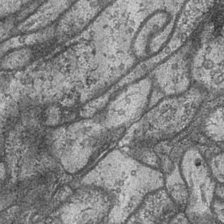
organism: Drosophila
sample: Optic medulla